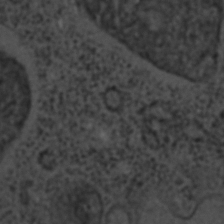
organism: C. elegans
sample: C. elegans embryo